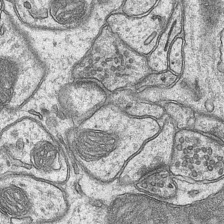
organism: Mouse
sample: CA1 Hippocampus